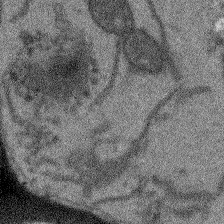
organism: Arabidopsis thaliana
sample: Root tip